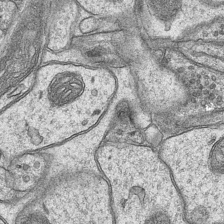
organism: Mouse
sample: CA1 Hippocampus